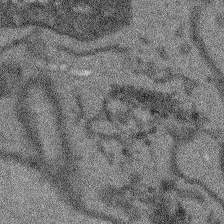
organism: Arabidopsis thaliana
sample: Root tip